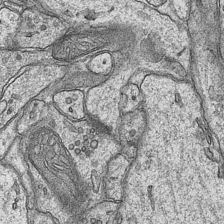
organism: Mouse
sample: CA1 Hippocampus